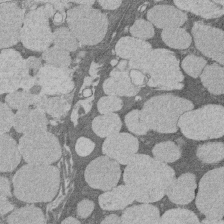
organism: Rat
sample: Salivary granule